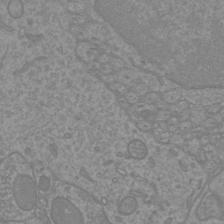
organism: Mouse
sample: Cortical neurons